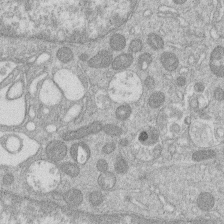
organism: Human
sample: Macrophage cells